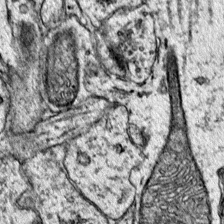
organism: Mouse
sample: Primary visual cortex